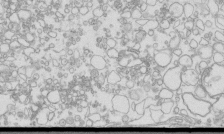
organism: Mouse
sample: Macrophages